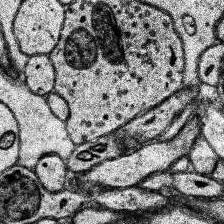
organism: Human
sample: Temporal Lobe